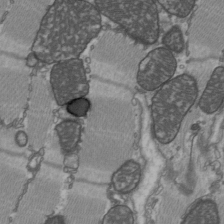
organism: C57BL Mouse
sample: Heart